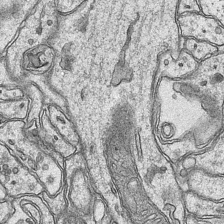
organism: Mouse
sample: CA1 Hippocampus